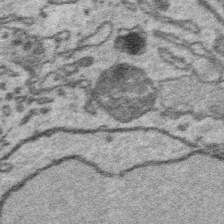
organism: Platynereis dumerilii